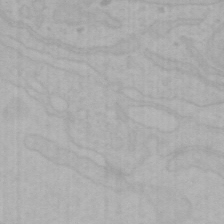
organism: Mouse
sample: Choroid plexus